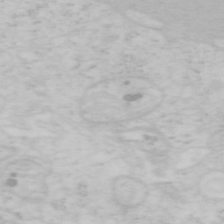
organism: Mouse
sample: OT-I killer T cells with ID8 ovarian cancer cells